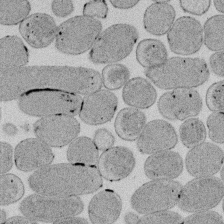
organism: E. coli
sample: Bacterial nucleoid